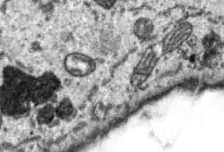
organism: Human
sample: HeLa cells